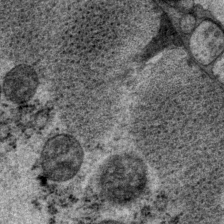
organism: P. pacificus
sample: Pharynx